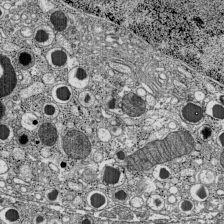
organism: C57BL Mouse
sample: Pancreatic islet